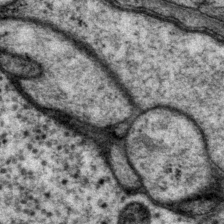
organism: P. pacificus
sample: Pharynx